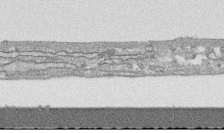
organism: Human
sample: CRL-1474